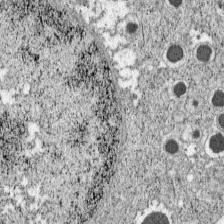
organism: C57BL Mouse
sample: Pancreatic islet